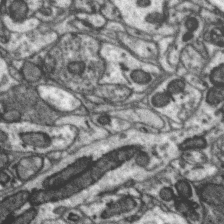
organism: Zebra finch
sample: Brain